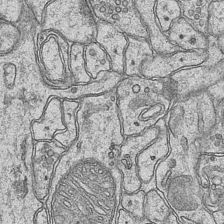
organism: Mouse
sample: CA1 Hippocampus